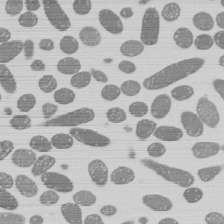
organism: E. coli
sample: Bacterial nucleoid